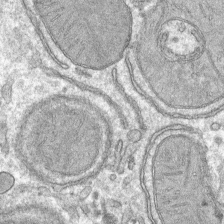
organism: Mouse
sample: Mouse hepatocytes